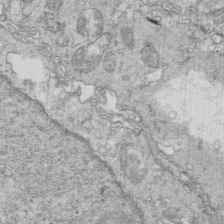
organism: Mouse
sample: Multiciliated cells